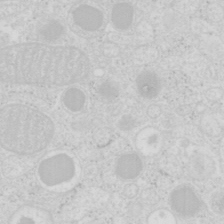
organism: Mouse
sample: Pancreas